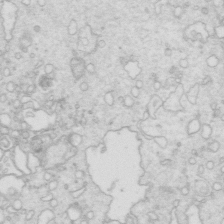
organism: Mouse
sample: Multiciliated cells